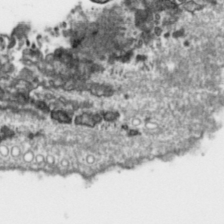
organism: Toxoplasma gondii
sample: Parasites in a vacuole inside a host cell